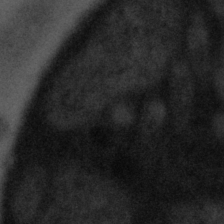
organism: Tuwongella immobilis